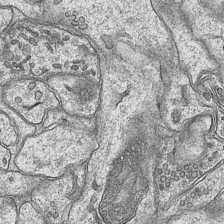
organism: Mouse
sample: CA1 Hippocampus